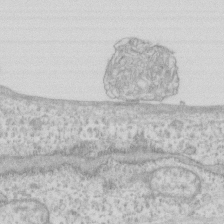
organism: Human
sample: Fibroblast cells